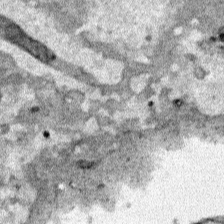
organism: Human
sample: Mitochondria in HCT116 cells